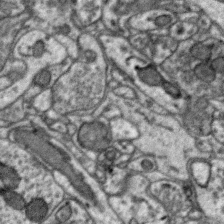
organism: Zebra finch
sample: Brain